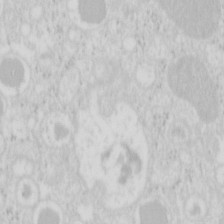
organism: Mouse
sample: Pancreas